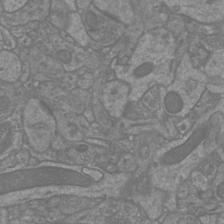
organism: Mouse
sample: Cortical neurons